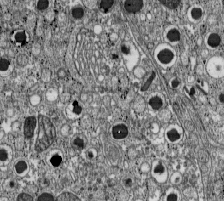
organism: C57BL Mouse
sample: Pancreatic islet